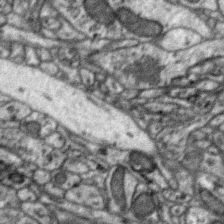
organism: Zebra finch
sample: Brain